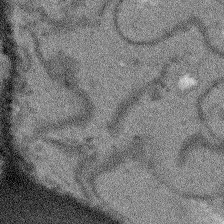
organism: Arabidopsis thaliana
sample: Root tip